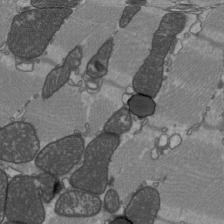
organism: C57BL Mouse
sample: Heart